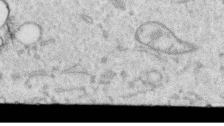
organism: Human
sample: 1205lu cells